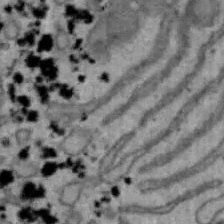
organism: Mouse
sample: Liver